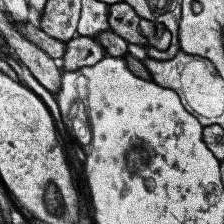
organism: Human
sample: Temporal Lobe